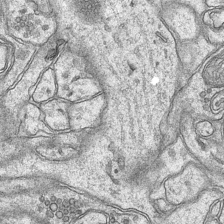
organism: Mouse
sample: CA1 Hippocampus